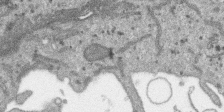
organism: Human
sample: Lung epithelial cells infected with SARS-CoV-2